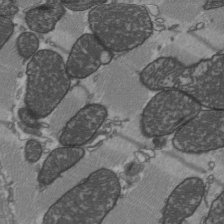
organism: C57BL Mouse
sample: Heart